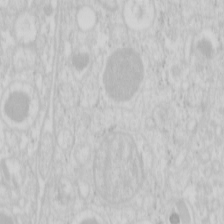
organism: Mouse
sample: Pancreas